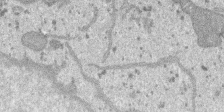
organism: Human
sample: Lung epithelial cells infected with SARS-CoV-2